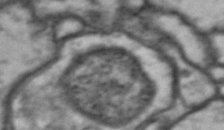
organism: Drosophila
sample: Brain